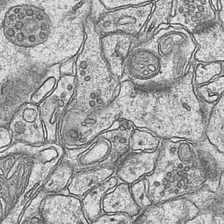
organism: Mouse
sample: CA1 Hippocampus